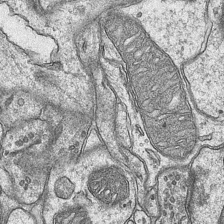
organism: Mouse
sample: CA1 Hippocampus